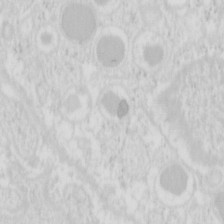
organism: Mouse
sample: Pancreas